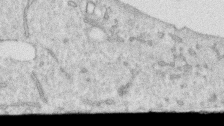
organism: Human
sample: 1205lu cells